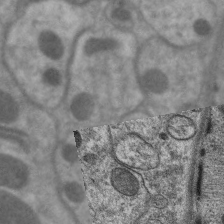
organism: C. elegans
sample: Pharynx